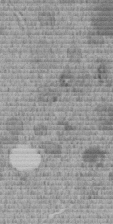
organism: C. elegans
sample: C. elegans embryo early stage